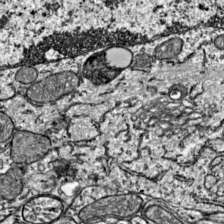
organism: Mouse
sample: Visual Cortex